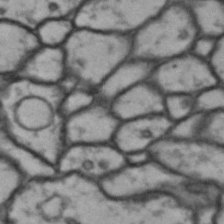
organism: Drosophila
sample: Brain